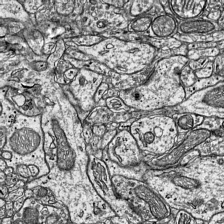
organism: Mouse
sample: Visual Cortex